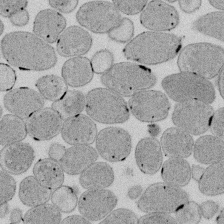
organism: E. coli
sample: Bacterial nucleoid